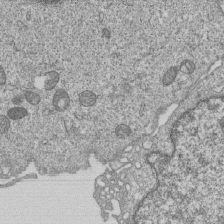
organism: Human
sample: MDA-MB-231 cells